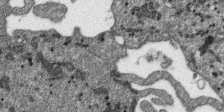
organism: Human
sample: Lung epithelial cells infected with SARS-CoV-2